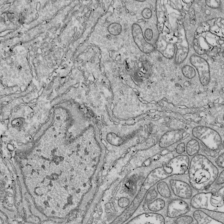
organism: Drosophila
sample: Cell division; meiosis; drosophila spermatocytes